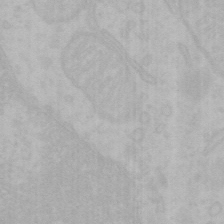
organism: Mouse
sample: Choroid plexus